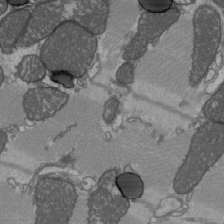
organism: C57BL Mouse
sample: Heart